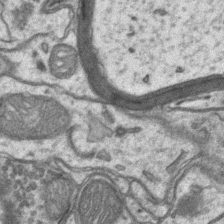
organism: Mouse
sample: CA1 Hippocampus